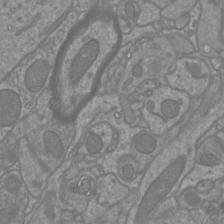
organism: Mouse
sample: Cortical neurons